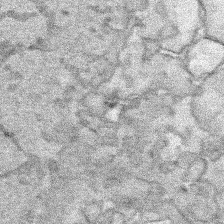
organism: Human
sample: Mitochondria in HCT116 cells